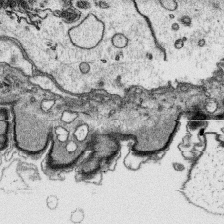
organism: Platynereis dumerilii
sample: Parapodia